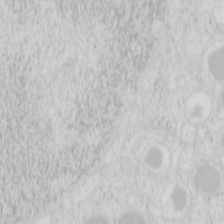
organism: Mouse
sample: Pancreas